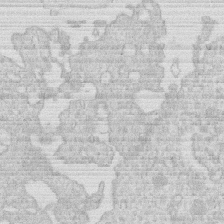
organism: Human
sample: Macrophage cells